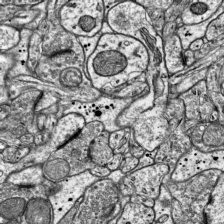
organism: Mouse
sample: Visual Cortex